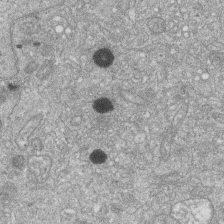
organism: Human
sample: HeLa cell HIV synapse